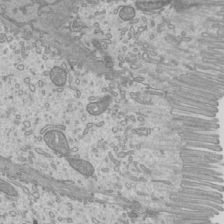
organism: Mouse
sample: Cilia; mouse epididymis